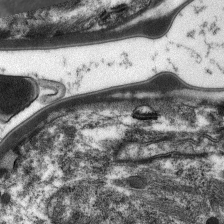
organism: C. elegans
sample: Pharynx